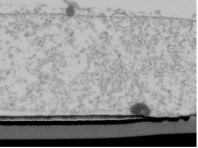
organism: Human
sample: U2-OS cells